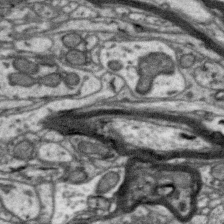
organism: Zebra finch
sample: Brain